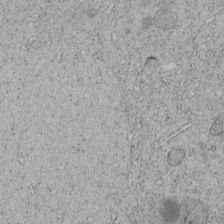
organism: C. elegans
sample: C. elegans embryo early stage